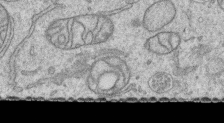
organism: Human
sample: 1205lu cells